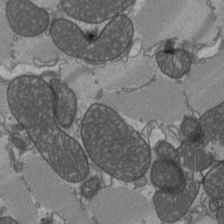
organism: C57BL Mouse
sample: Heart